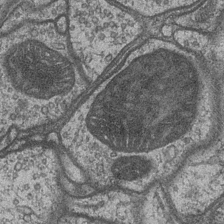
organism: Drosophila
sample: Optic medulla